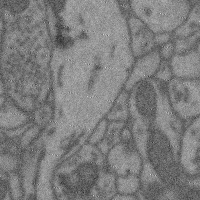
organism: Mouse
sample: Cerebral cortex